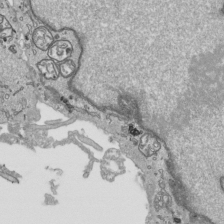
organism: Human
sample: Mitochondria in HCT116 cells